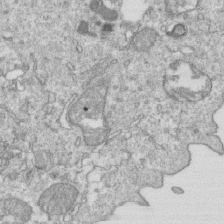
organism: Mouse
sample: Activated OT-1 CD8+ T cells